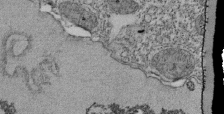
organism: Tetrahymena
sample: Cilia in tetrahymena